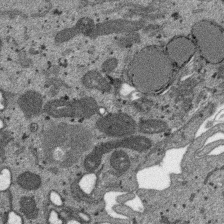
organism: Human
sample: Lung epithelial cells infected with SARS-CoV-2